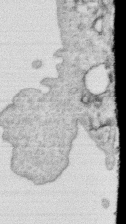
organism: Human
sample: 1205lu cells